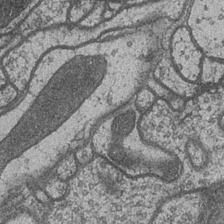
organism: Drosophila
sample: Optic medulla